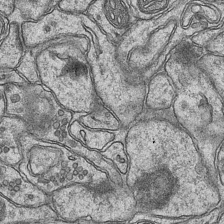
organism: Mouse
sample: CA1 Hippocampus